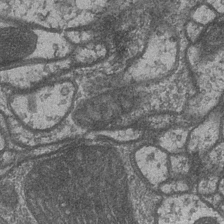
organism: Drosophila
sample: Optic medulla